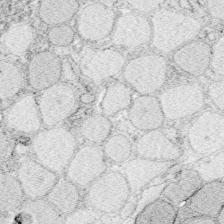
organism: Zebrafish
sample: Whole-Brain